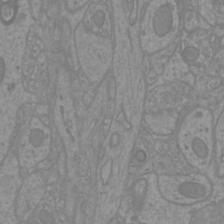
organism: Mouse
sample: Cortical neurons